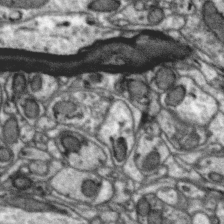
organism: Zebra finch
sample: Brain